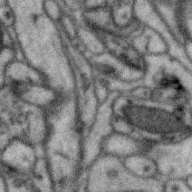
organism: Zebra finch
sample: Brain